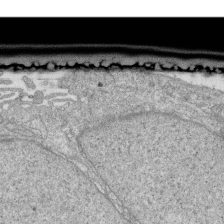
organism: Human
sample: HeLa cell HIV synapse